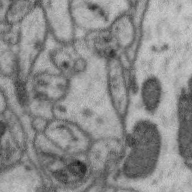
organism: Zebra finch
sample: Brain